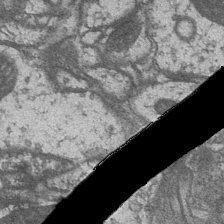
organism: Drosophila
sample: Optic medulla